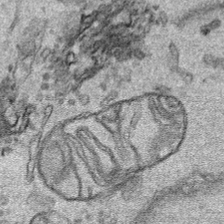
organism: Human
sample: Mitochondria in HCT116 cells